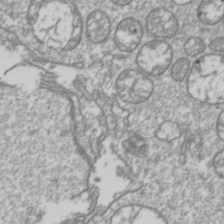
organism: Drosophila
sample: Cell division; meiosis; drosophila spermatocytes